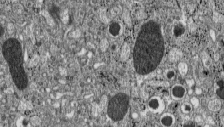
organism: C57BL Mouse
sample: Pancreatic islet